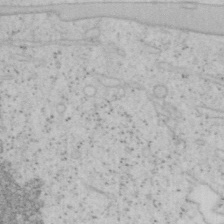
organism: Human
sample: HeLa cells